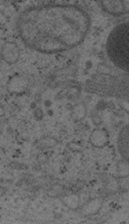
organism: Human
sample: HeLa cells